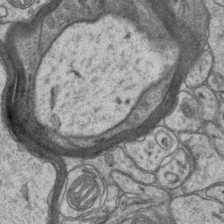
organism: Mouse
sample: CA1 Hippocampus